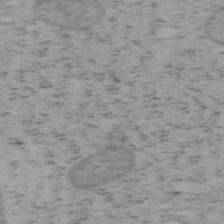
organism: Mouse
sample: OT-I killer T cells with ID8 ovarian cancer cells